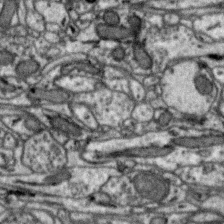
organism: Zebra finch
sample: Brain